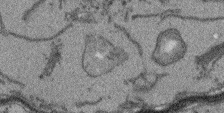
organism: Arabidopsis thaliana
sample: Root tip